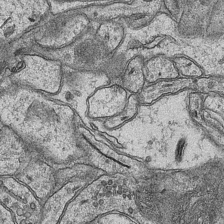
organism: Mouse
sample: CA1 Hippocampus